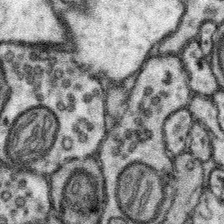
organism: Mouse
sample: Somatosensory cortex neuropil